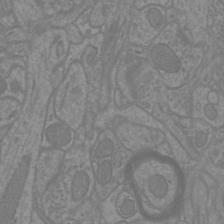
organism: Mouse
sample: Cortical neurons